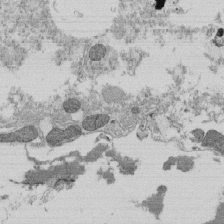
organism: Tetrahymena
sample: Cilia in tetrahymena